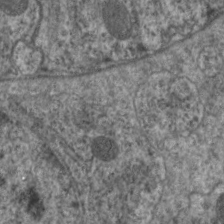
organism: C. elegans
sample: Pharynx